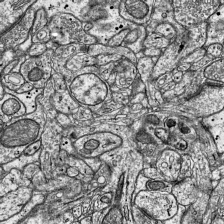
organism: Mouse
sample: Visual Cortex